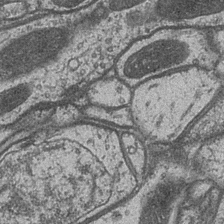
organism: Drosophila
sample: Optic medulla